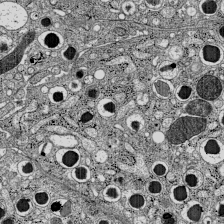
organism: C57BL Mouse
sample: Pancreatic islet